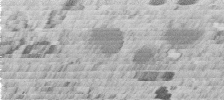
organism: C. elegans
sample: C. elegans embryo early stage